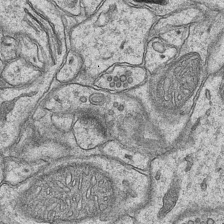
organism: Mouse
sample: CA1 Hippocampus